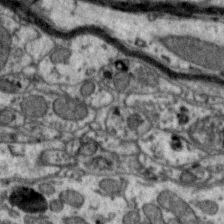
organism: Zebra finch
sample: Brain